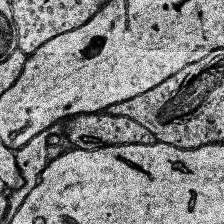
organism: Human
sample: Temporal Lobe